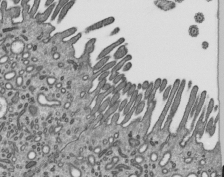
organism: Mouse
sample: Mouse epididymis efferent ductule cilia